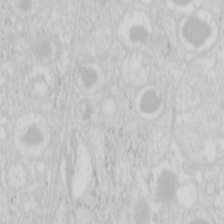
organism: Mouse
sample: Pancreas